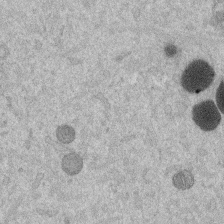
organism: Mouse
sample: Dividing mouse embryo 1 cell stage